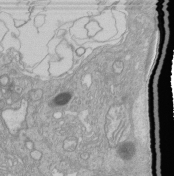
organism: Human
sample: Retinal organoid Rod and Cone cells